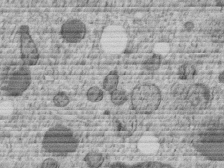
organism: C. elegans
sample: C. elegans embryo early stage